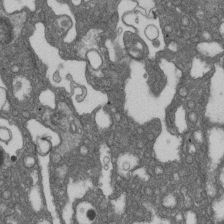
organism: Drosophila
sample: Nephrocyte